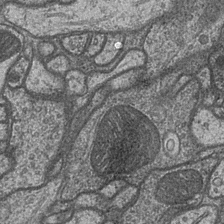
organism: Drosophila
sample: Optic medulla